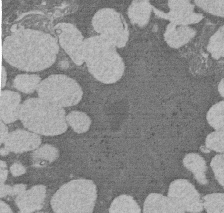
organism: Rat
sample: Salivary granule